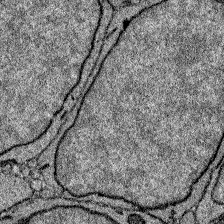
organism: Zebrafish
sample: Larval olfactory bulb